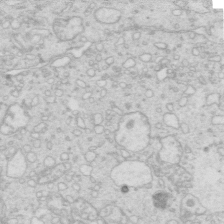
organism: Mouse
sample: Multiciliated cells